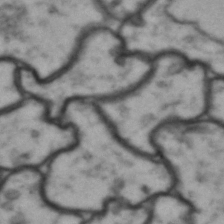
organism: Drosophila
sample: Brain